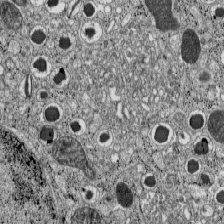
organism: C57BL Mouse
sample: Pancreatic islet